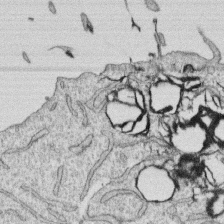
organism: Human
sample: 1205lu cells